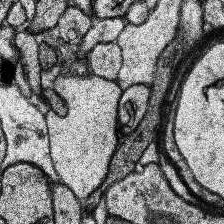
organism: Human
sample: Temporal Lobe